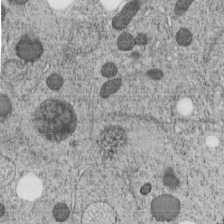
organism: C. elegans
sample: C. elegans embryo early stage